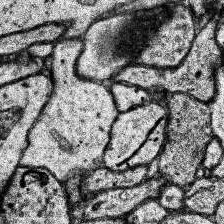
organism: Human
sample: Temporal Lobe